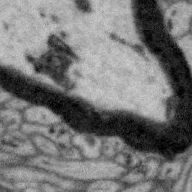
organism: Zebra finch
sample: Brain